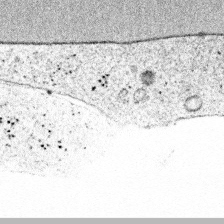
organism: Human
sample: HeLa cells